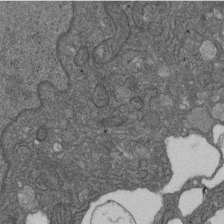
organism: Drosophila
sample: Nephrocyte